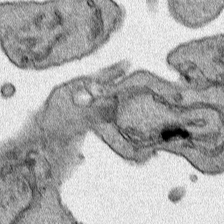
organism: Human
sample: Mitochondria in HCT116 cells